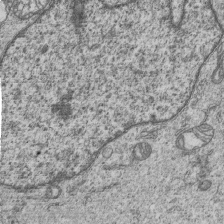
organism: Human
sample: MDA-MB-231 cells